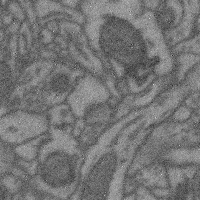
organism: Mouse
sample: Cerebral cortex